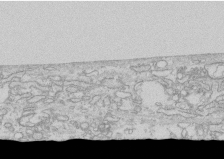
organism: Human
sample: CRL-1474